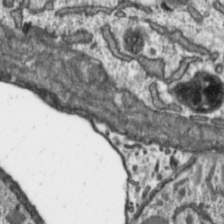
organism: Toxoplasma gondii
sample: Parasites in a vacuole inside a host cell